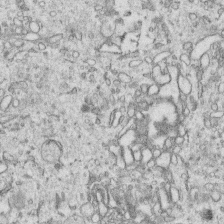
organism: Human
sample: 1205lu cells